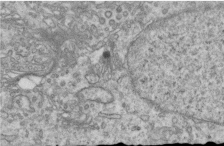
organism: Human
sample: Centriole in RPE cells